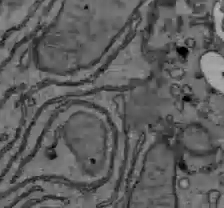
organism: C57BL Mouse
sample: Liver